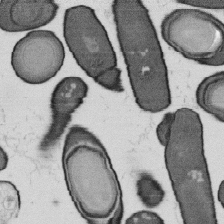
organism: B. subtilis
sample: Bacterial spore